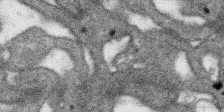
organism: Human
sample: Lung epithelial cells infected with SARS-CoV-2